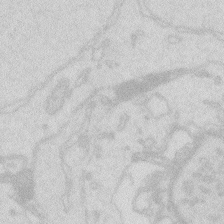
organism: Zebrafish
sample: Macrophage